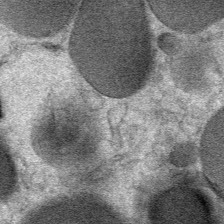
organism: Mouse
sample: Mouse Salivary gland